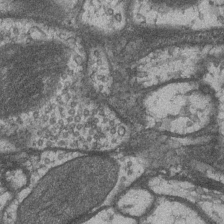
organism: Drosophila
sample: Optic medulla